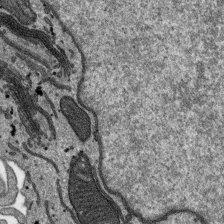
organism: Human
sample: Lung epithelial cells, uninfected (mock) control